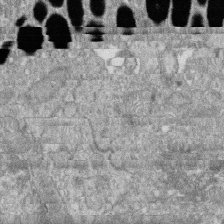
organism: Zebrafish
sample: Cilia; retinal pigment epithelium